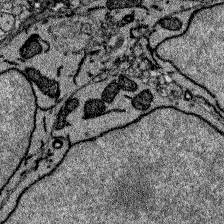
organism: Zebrafish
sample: Larval olfactory bulb